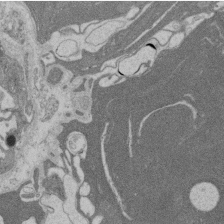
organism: Rat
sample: Salivary granule